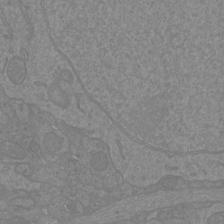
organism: Mouse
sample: Cortical neurons